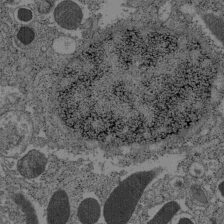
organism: C57BL Mouse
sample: Pancreatic islet